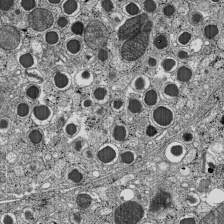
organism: C57BL Mouse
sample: Pancreatic islet